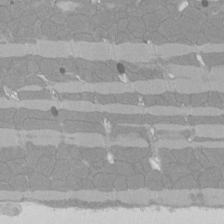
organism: Rat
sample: Left ventricle